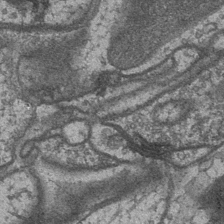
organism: Drosophila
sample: Optic medulla